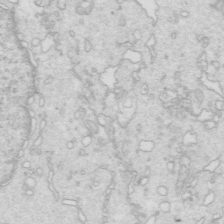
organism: Mouse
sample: Multiciliated cells